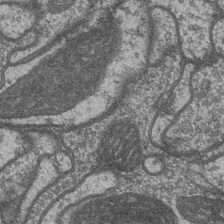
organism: Drosophila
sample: Optic medulla